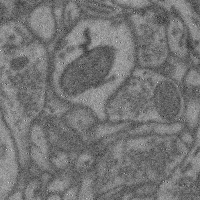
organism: Mouse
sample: Cerebral cortex